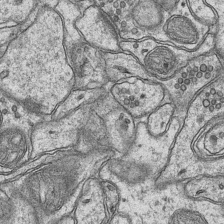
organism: Mouse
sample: CA1 Hippocampus